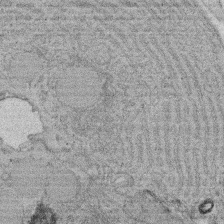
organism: Rat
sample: Salivary granule